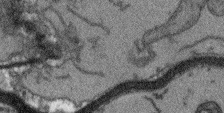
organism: Arabidopsis thaliana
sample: Root tip